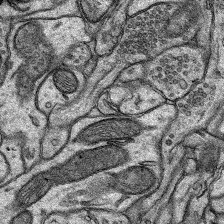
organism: Rat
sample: Hippocampus